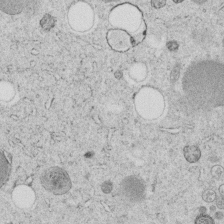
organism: C. elegans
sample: C. elegans embryo early stage